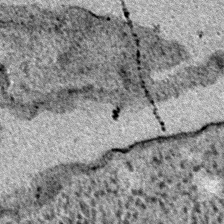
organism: E. coli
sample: E. Coli Bacteria